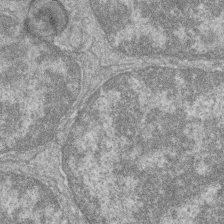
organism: Zebrafish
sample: Cilia; retinal pigment epithelium